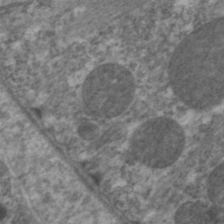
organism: C. elegans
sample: Pharynx